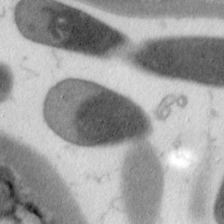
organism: C. elegans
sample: Pharynx